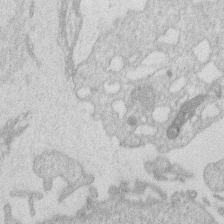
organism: Human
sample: Macrophage cells